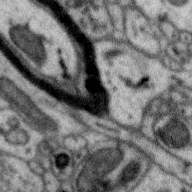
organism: Zebra finch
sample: Brain